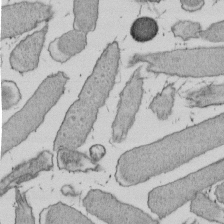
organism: E. coli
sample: Bacterial nucleoid